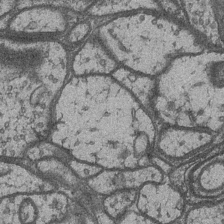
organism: Drosophila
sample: Optic medulla